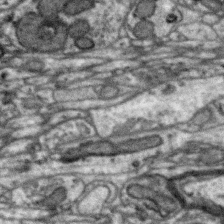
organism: Zebra finch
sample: Brain